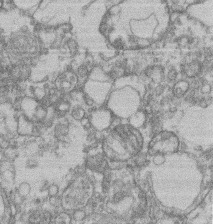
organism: Mouse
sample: T cell stromal cell synapse